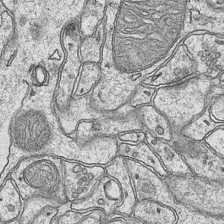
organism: Mouse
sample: CA1 Hippocampus